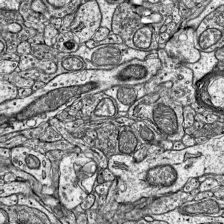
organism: Mouse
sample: Visual Cortex